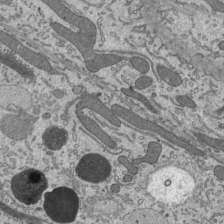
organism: Mouse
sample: Mouse epididymis efferent ductule cilia